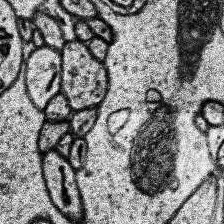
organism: Human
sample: Temporal Lobe